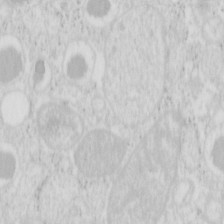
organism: Mouse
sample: Pancreas